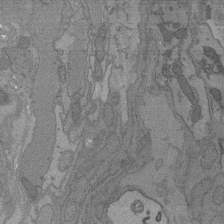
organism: C. elegans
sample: AFD neurons C. elegans